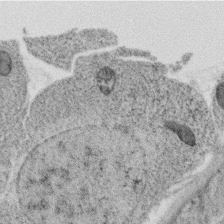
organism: C. elegans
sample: C. elegans oocyte; sperm cells